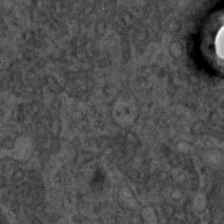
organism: C. elegans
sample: C. elegans embryo